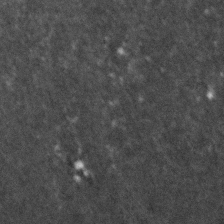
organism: Zebrafish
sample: Zebrafish embryo